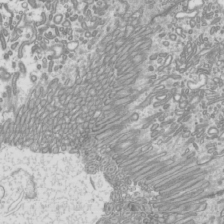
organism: Mouse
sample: Cilia; mouse epididymis